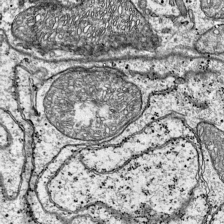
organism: Mouse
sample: Visual Cortex